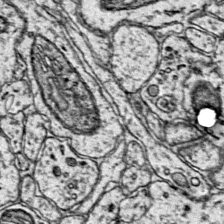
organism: Mouse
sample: Primary visual cortex